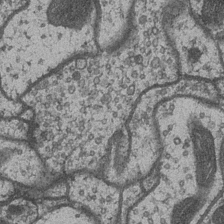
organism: Drosophila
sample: Optic medulla